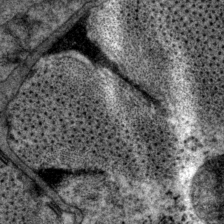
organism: P. pacificus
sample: Pharynx